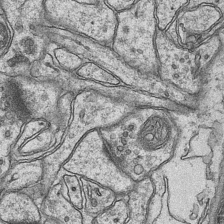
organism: Mouse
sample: CA1 Hippocampus